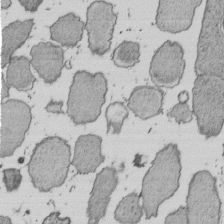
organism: E. coli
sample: Bacterial nucleoid